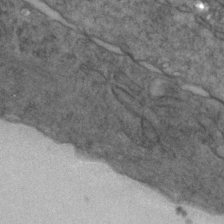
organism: Zebrafish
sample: Zebrafish embryo